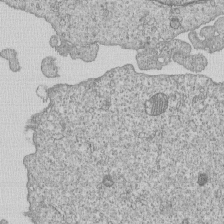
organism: Human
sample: MDA-MB-231 cells